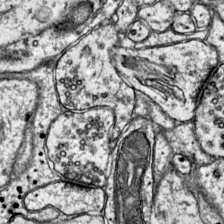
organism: Mouse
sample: Primary visual cortex